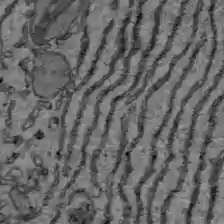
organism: C57BL Mouse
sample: Liver